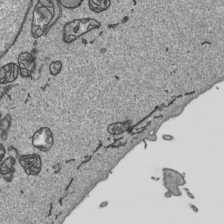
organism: Human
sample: Mitochondria in HCT116 cells